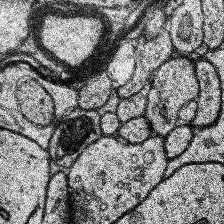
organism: Human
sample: Temporal Lobe